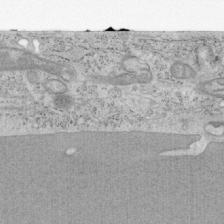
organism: Human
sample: HeLa cells